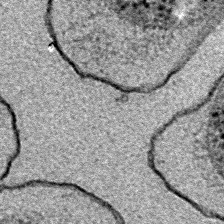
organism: E. coli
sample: E. Coli Bacteria